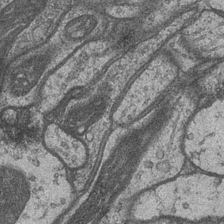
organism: Drosophila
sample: Optic medulla